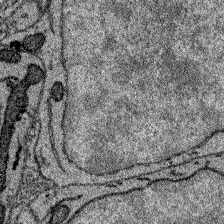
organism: Zebrafish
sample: Larval olfactory bulb